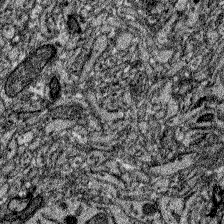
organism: Zebrafish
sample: Larval olfactory bulb